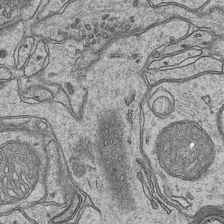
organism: Mouse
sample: CA1 Hippocampus